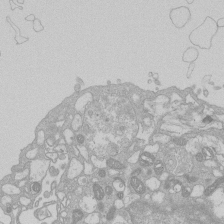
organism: Human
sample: Macrophage cells